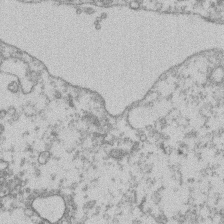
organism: Mouse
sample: T cell stromal cell synapse